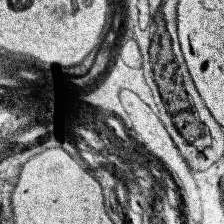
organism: Human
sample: Temporal Lobe